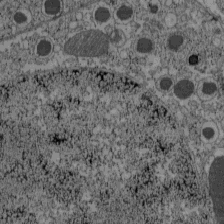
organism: C57BL Mouse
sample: Pancreatic islet